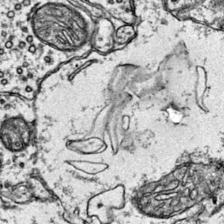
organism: Mouse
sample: Primary visual cortex